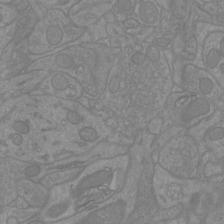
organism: Mouse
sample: Cortical neurons